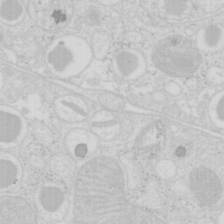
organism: Mouse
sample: Pancreas